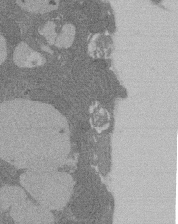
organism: Rat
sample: Salivary granule